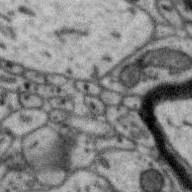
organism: Zebra finch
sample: Brain